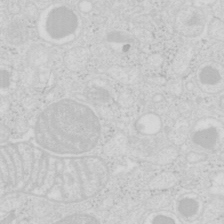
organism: Mouse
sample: Pancreas